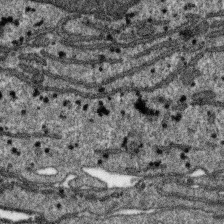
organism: Human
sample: Lung epithelial cells infected with SARS-CoV-2